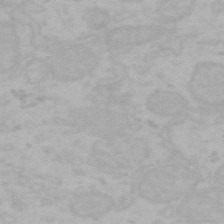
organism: Mouse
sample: Choroid plexus